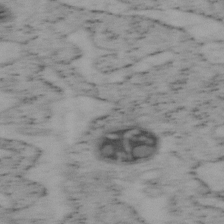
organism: Mouse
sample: OT-I killer T cells with ID8 ovarian cancer cells